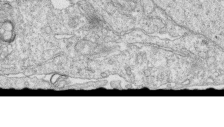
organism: Human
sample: HeLa cell HIV synapse